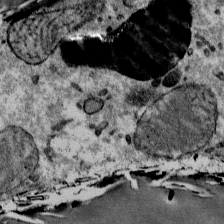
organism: Mouse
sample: Mouse Salivary gland